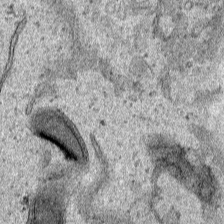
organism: Human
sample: Mitochondria in HCT116 cells